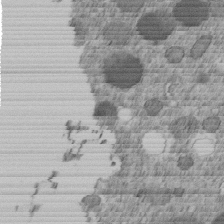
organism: C. elegans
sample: C. elegans embryo early stage